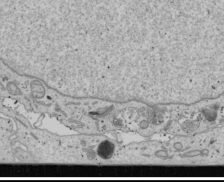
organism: Human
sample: Mitochondria in U2OS cells